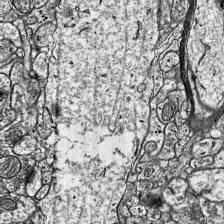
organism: Mouse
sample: Visual Cortex